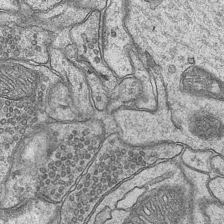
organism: Mouse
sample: CA1 Hippocampus